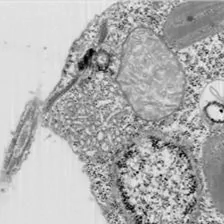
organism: Chlamydomonas reinhardtii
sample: Whole Cell